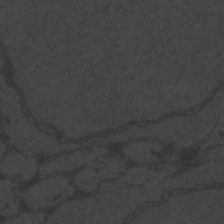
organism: Zebrafish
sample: Macrophage infected with Toxoplasma gondii